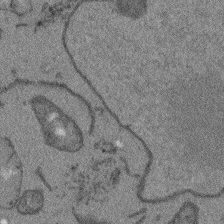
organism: Arabidopsis thaliana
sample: Root tip